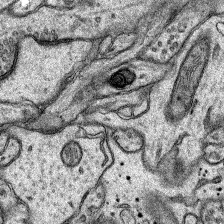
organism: Rat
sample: Hippocampus